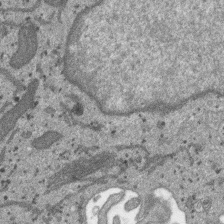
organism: Human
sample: Lung epithelial cells infected with SARS-CoV-2